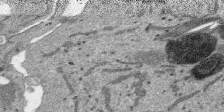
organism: Human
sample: Lung epithelial cells infected with SARS-CoV-2